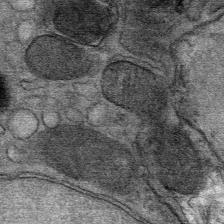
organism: Mouse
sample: Mouse Salivary gland